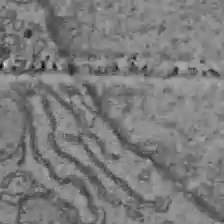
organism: C57BL Mouse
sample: Liver